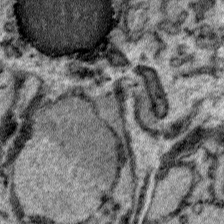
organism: Plasmodium falciparum